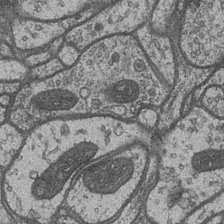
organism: Drosophila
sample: Optic medulla